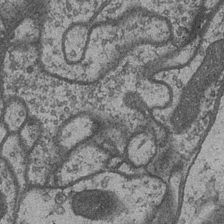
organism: Drosophila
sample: Optic medulla